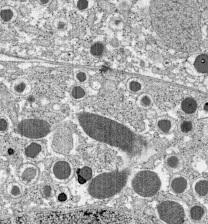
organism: C57BL Mouse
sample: Pancreatic islet